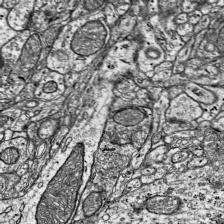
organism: Mouse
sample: Visual Cortex